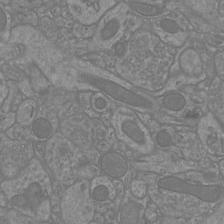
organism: Mouse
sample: Cortical neurons